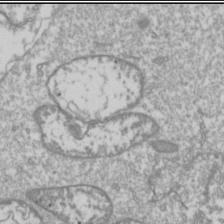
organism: Drosophila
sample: Cell division; meiosis; drosophila spermatocytes